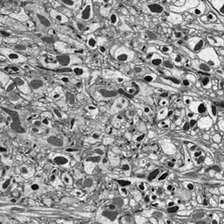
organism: Drosophila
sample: Optic lobe